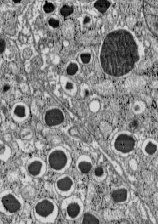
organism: C57BL Mouse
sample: Pancreatic islet